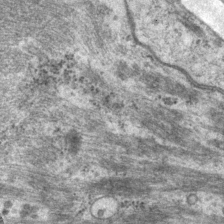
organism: P. pacificus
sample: Pharynx